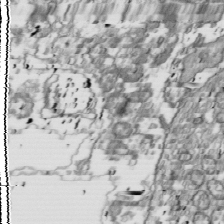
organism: Drosophila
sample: Cell division; meiosis; drosophila spermatocytes